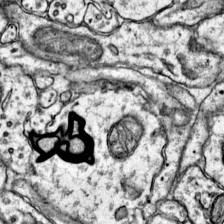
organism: Mouse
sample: Primary visual cortex